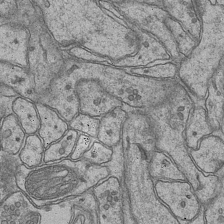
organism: Mouse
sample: CA1 Hippocampus